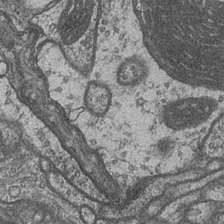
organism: Drosophila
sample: Optic medulla